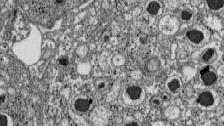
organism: C57BL Mouse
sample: Pancreatic islet